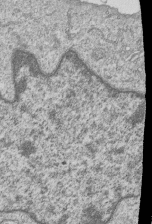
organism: Human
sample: MDA-MB-231 cells